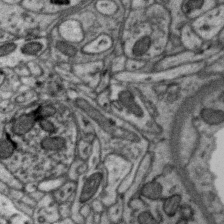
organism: Zebra finch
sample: Brain